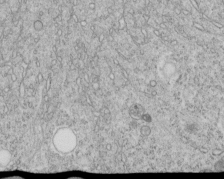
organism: C. elegans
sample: C. elegans embryo early stage